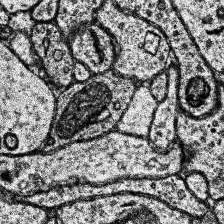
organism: Human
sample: Temporal Lobe